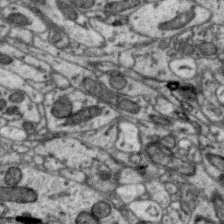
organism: Zebra finch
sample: Brain